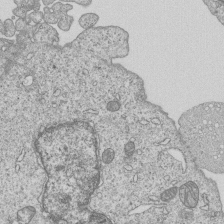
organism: Human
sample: MDA-MB-231 cells